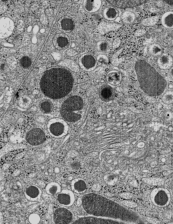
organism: C57BL Mouse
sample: Pancreatic islet